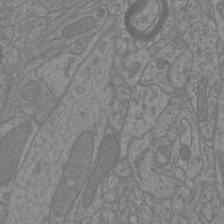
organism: Mouse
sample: Cortical neurons